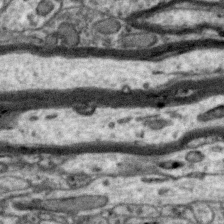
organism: Zebra finch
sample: Brain